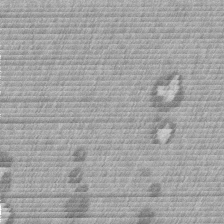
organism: Mouse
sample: Dividing mouse embryo 1 cell stage